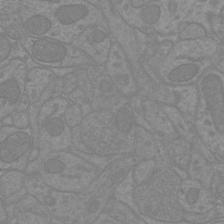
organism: Mouse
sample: Cortical neurons